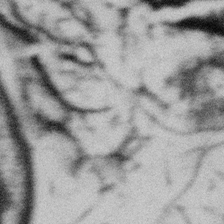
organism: Gemmata obscuriglobus